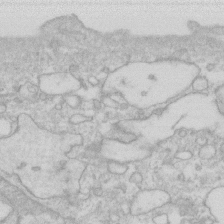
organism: Human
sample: Fibroblast cells